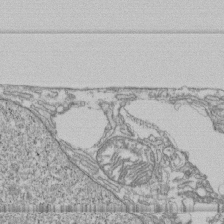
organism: Human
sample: Fibroblast cells